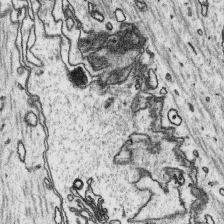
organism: Platynereis dumerilii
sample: Parapodia